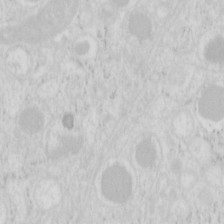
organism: Mouse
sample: Pancreas